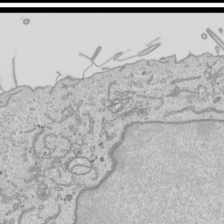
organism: Human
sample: Mitochondria in HCT116 cells